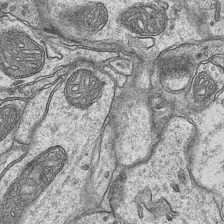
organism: Mouse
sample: CA1 Hippocampus